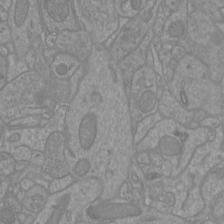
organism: Mouse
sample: Cortical neurons